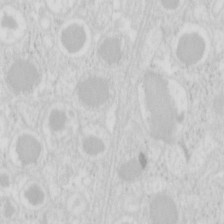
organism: Mouse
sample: Pancreas